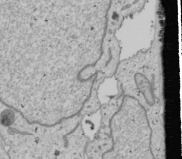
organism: Human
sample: Mitochondria in U2OS cells